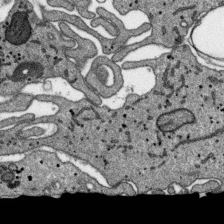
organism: Human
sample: Lung epithelial cells, uninfected (mock) control